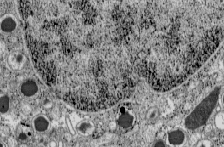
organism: C57BL Mouse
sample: Pancreatic islet